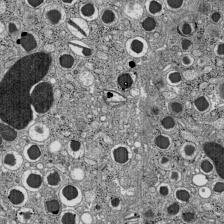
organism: C57BL Mouse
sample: Pancreatic islet